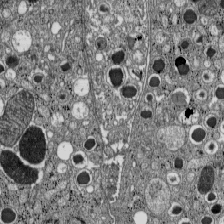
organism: C57BL Mouse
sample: Pancreatic islet